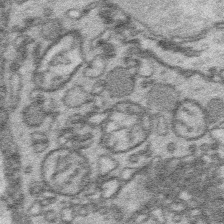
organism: Platynereis dumerilii